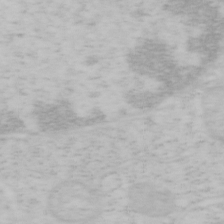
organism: Mouse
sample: OT-I killer T cells with ID8 ovarian cancer cells